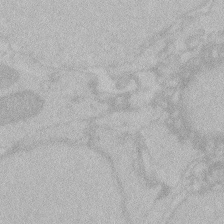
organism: Zebrafish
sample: Macrophage infected with Toxoplasma gondii